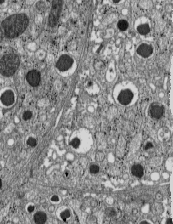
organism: C57BL Mouse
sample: Pancreatic islet